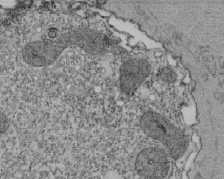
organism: Tetrahymena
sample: Cilia in tetrahymena